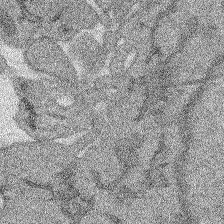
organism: Human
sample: HeLa cells